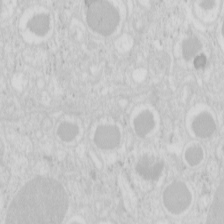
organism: Mouse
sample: Pancreas